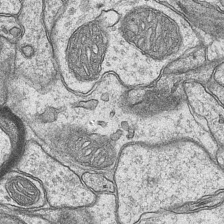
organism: Mouse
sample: CA1 Hippocampus